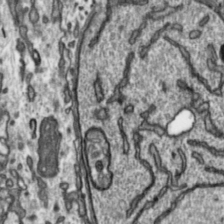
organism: Toxoplasma gondii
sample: Parasites in a vacuole inside a host cell